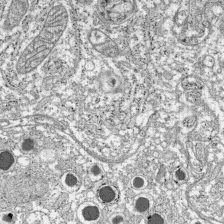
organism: C57BL Mouse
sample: Pancreatic islet